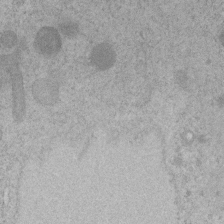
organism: C. elegans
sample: C. elegans embryo early stage